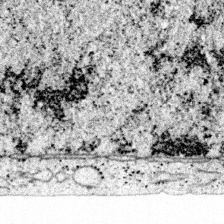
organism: Human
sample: HeLa cells